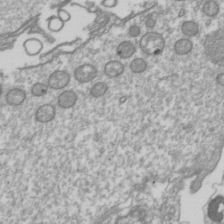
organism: Drosophila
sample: Cell division; meiosis; drosophila spermatocytes